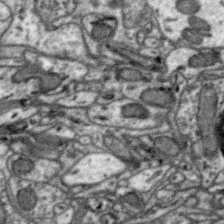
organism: Zebra finch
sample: Brain